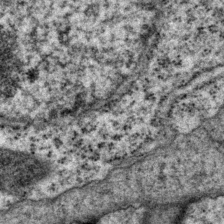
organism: P. pacificus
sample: Pharynx